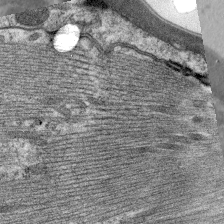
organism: C. elegans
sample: Pharynx